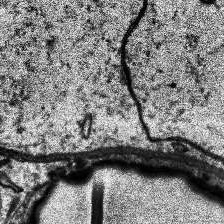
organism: Human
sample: Temporal Lobe